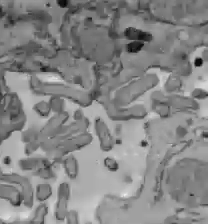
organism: C57BL Mouse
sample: Liver